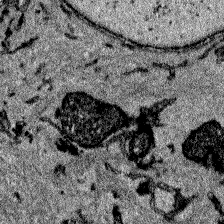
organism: Zebrafish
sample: Larval olfactory bulb